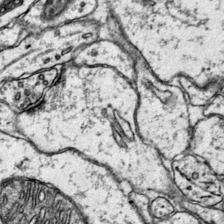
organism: Mouse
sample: Primary visual cortex